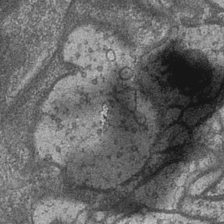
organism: Drosophila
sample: Optic medulla